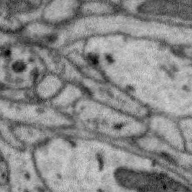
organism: Zebra finch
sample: Brain